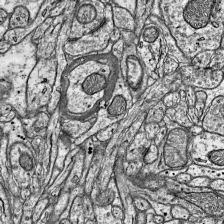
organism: Mouse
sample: Visual Cortex